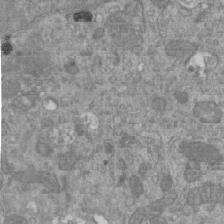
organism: Mouse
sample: ED-1 cell nuclei; centrioles